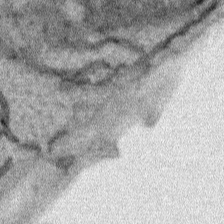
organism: Human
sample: Mitochondria in HCT116 cells